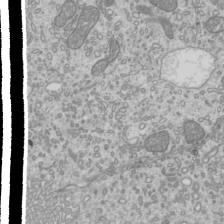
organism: Mouse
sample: Cilia; mouse epididymis